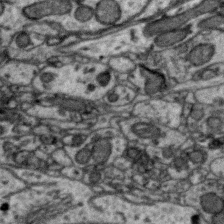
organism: Zebra finch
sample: Brain